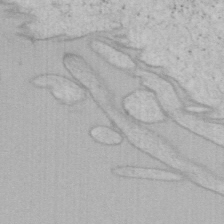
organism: Human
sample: HeLa cells